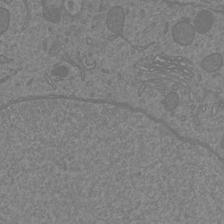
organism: Mouse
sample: Cortical neurons